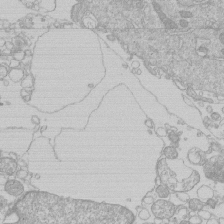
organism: Human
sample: Macrophage cells